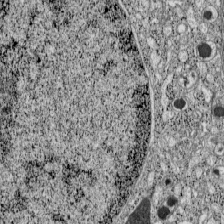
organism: C57BL Mouse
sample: Pancreatic islet